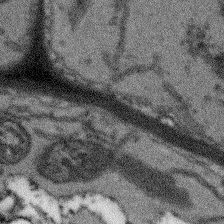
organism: Arabidopsis thaliana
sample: Root tip